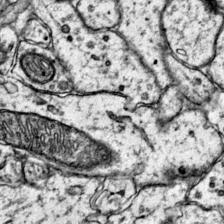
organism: Mouse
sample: Primary visual cortex